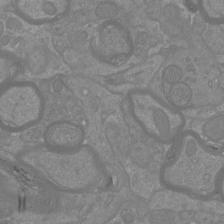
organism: Mouse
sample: Cortical neurons